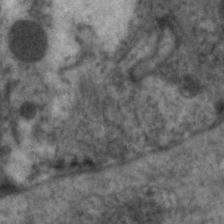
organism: C. elegans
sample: Pharynx